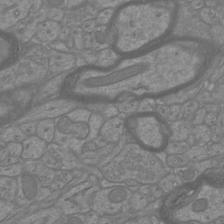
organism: Mouse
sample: Cortical neurons